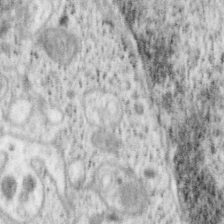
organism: Mouse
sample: OT-I killer T cells with ID8 ovarian cancer cells